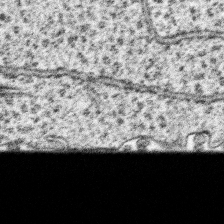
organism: Human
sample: HeLa cells